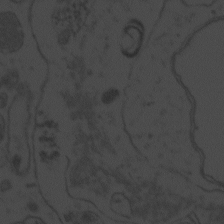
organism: Zebrafish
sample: Macrophage infected with Toxoplasma gondii